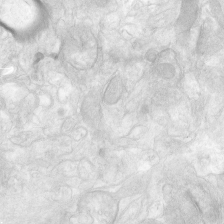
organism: Human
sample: Neocortex